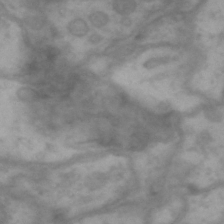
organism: Drosophila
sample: Brain